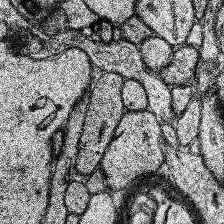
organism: Human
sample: Temporal Lobe